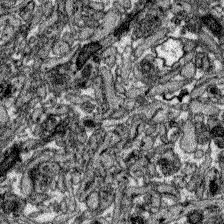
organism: Zebrafish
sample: Larval olfactory bulb